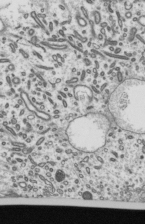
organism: Mouse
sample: Mouse epididymis efferent ductule cilia